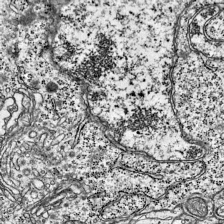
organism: Mouse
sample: Visual Cortex